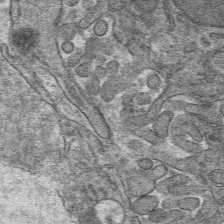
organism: Mouse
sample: Mouse hepatocytes